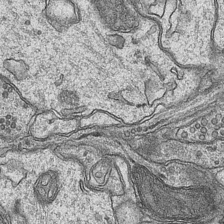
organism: Mouse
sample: CA1 Hippocampus